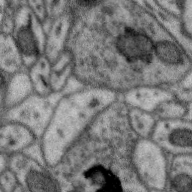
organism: Zebra finch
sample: Brain